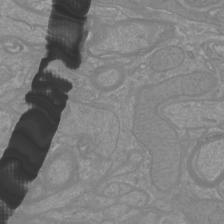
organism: Mouse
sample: Cortical neurons